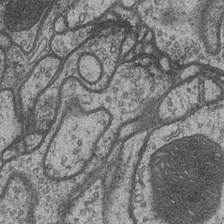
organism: Drosophila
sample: Optic medulla